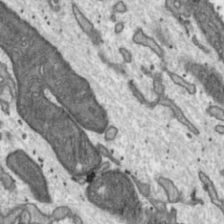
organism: Toxoplasma gondii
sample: Parasites in a vacuole inside a host cell